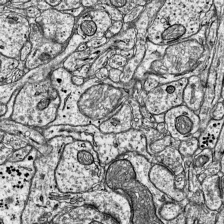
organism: Mouse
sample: Visual Cortex